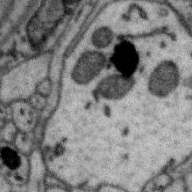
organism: Zebra finch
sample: Brain